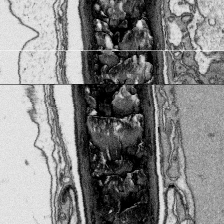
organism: Platynereis dumerilii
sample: Parapodia